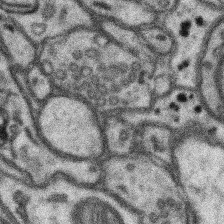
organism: Mouse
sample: Somatosensory cortex neuropil